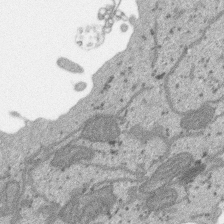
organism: Human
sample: Lung epithelial cells infected with SARS-CoV-2